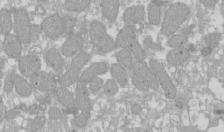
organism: Xenopus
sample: Cilia; centrioles in frog embryo cells